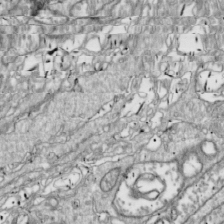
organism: Drosophila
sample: Cell division; meiosis; drosophila spermatocytes